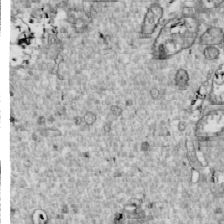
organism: Drosophila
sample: Cell division; meiosis; drosophila spermatocytes